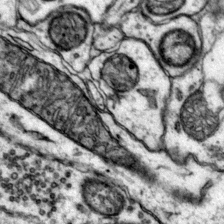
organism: Mouse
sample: Primary visual cortex